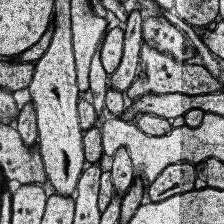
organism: Human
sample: Temporal Lobe